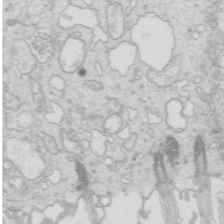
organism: Mouse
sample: Multiciliated cells